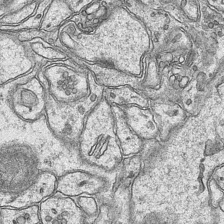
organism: Mouse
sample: CA1 Hippocampus